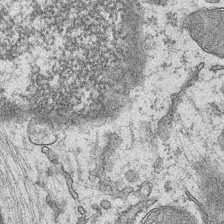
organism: Mouse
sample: CA1 Hippocampus